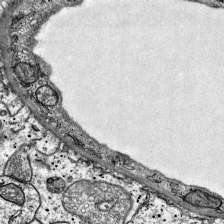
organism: Mouse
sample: Visual Cortex